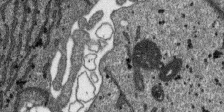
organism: Human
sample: Lung epithelial cells infected with SARS-CoV-2